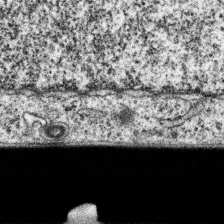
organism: Human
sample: HeLa cells